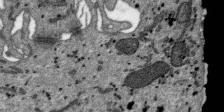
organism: Human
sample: Lung epithelial cells, uninfected (mock) control